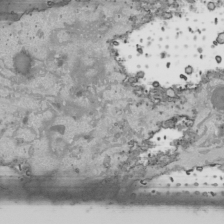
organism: Human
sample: Mitochondria in HCT116 cells